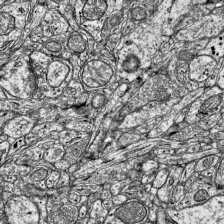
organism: Mouse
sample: Visual Cortex